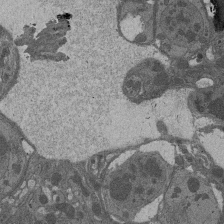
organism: Drosophila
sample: Antenna